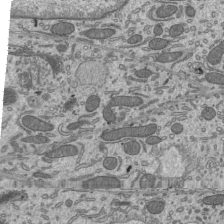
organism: Mouse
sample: Mouse epididymis efferent ductule cilia